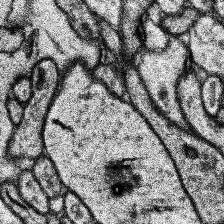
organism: Human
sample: Temporal Lobe